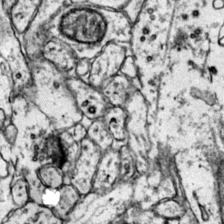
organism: Mouse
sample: Primary visual cortex